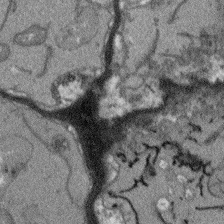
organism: Arabidopsis thaliana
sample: Root tip